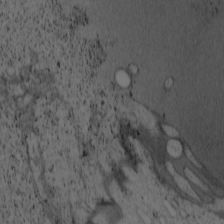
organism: African green monkey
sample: COS-7 cells